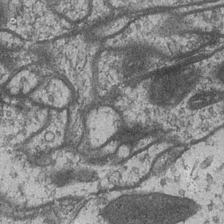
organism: Drosophila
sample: Optic medulla